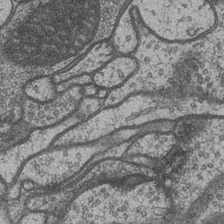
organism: Drosophila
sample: Optic medulla